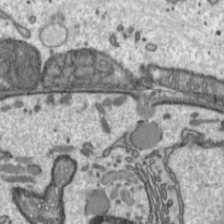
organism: Toxoplasma gondii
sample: Parasites in a vacuole inside a host cell